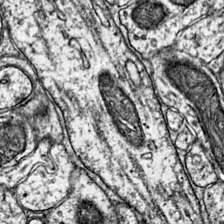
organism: Mouse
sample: Primary visual cortex